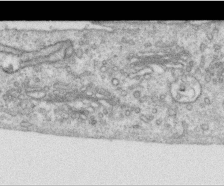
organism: Human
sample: Centriole in RPE cells